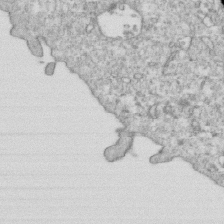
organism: Mouse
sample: Activated OT-1 CD8+ T cells